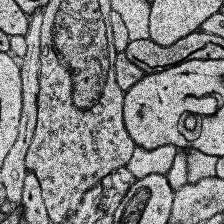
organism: Human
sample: Temporal Lobe